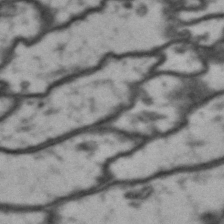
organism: Drosophila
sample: Brain